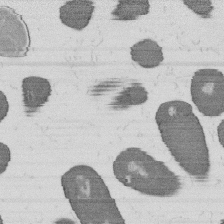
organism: B. subtilis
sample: Bacterial spore